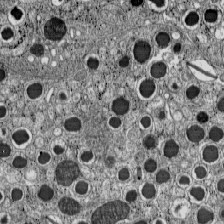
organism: C57BL Mouse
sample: Pancreatic islet